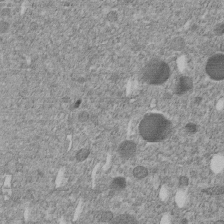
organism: C. elegans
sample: C. elegans embryo early stage